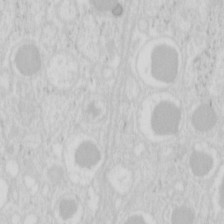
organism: Mouse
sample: Pancreas